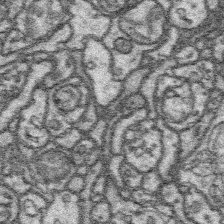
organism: Platynereis dumerilii